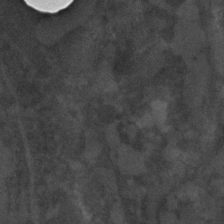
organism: C. elegans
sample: C. elegans embryo